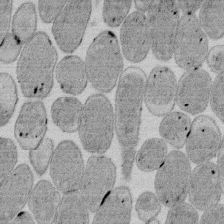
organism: E. coli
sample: Bacterial nucleoid